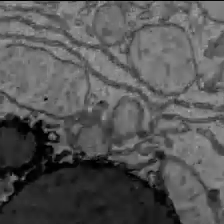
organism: C57BL Mouse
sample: Liver